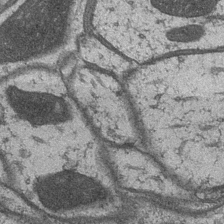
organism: Drosophila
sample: Optic medulla